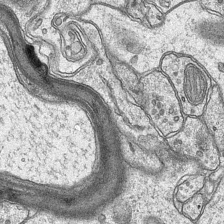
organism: Mouse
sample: CA1 Hippocampus